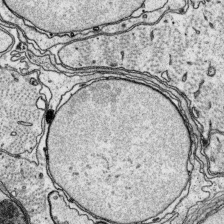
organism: Platynereis dumerilii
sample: Parapodia